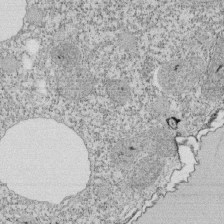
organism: Tetrahymena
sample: Cilia in tetrahymena